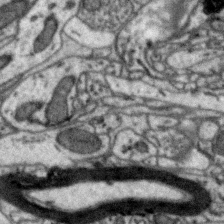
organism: Zebra finch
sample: Brain